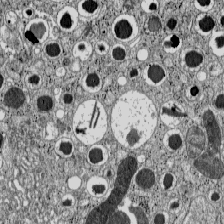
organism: C57BL Mouse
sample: Pancreatic islet